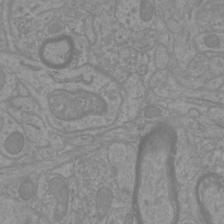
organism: Mouse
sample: Cortical neurons